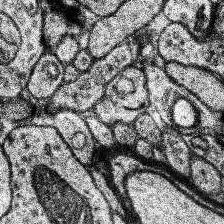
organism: Human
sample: Temporal Lobe